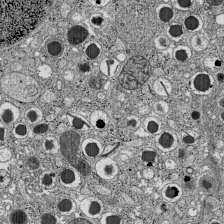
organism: C57BL Mouse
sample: Pancreatic islet